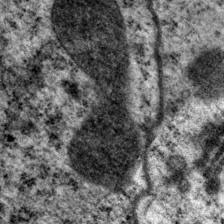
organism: P. pacificus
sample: Pharynx